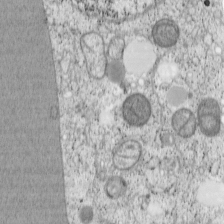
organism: African green monkey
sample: COS-7 cells